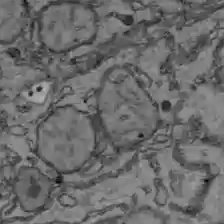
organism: C57BL Mouse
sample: Liver